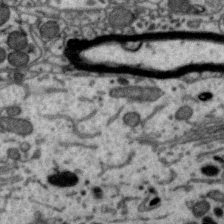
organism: Zebra finch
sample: Brain